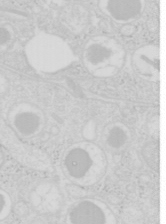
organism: Mouse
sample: Pancreas